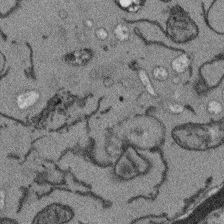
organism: Arabidopsis thaliana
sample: Root tip